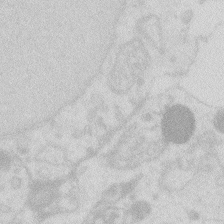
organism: Zebrafish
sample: Macrophage